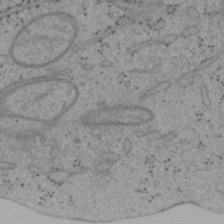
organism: Human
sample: HeLa cells